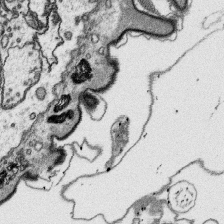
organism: Platynereis dumerilii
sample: Parapodia